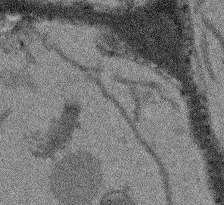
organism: Arabidopsis thaliana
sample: Root tip